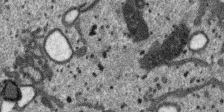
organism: Human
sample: Lung epithelial cells infected with SARS-CoV-2